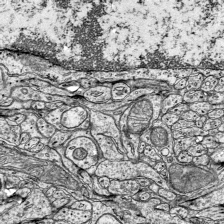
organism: Mouse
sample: Visual Cortex